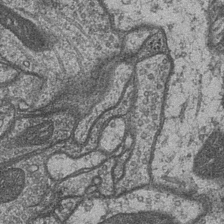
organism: Drosophila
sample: Optic medulla